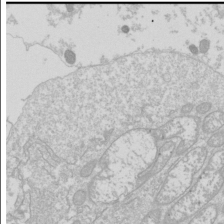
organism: Drosophila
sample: Cell division; meiosis; drosophila spermatocytes